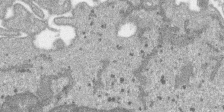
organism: Human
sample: Lung epithelial cells infected with SARS-CoV-2